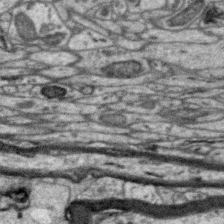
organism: Zebra finch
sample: Brain